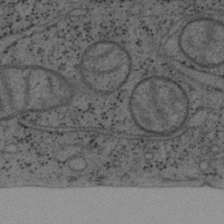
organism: Human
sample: HeLa cells